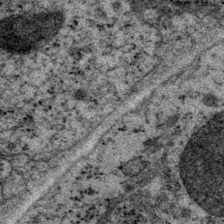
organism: P. pacificus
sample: Pharynx